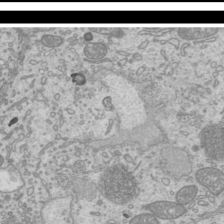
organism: Mouse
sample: Cilia; mouse epididymis